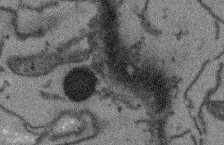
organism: Arabidopsis thaliana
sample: Root tip